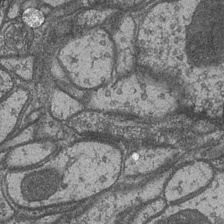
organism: Drosophila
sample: Optic medulla